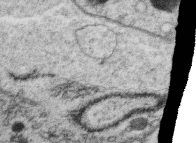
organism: C. elegans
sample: C. elegans oocyte; sperm cells